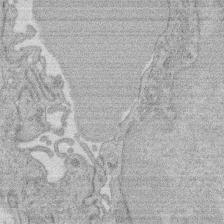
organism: Rat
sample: Salivary granule